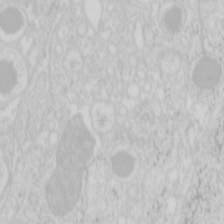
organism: Mouse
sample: Pancreas